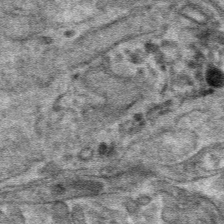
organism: Mouse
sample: Mouse hepatocytes